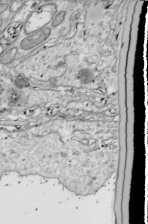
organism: Drosophila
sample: Cell division; meiosis; drosophila spermatocytes